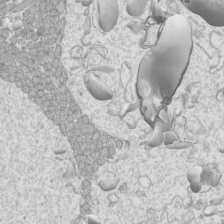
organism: Mouse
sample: Cilia; mouse epididymis